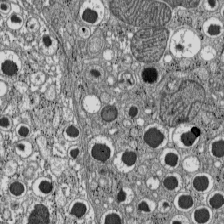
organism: C57BL Mouse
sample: Pancreatic islet